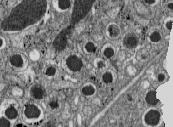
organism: C57BL Mouse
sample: Pancreatic islet